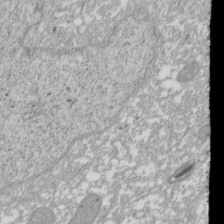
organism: Xenopus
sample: Cilia; centrioles in frog embryo cells